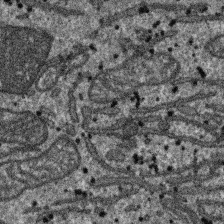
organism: Human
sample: Lung epithelial cells infected with SARS-CoV-2